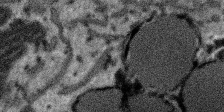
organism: Human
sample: Lung epithelial cells infected with SARS-CoV-2